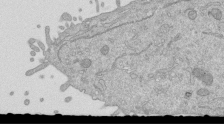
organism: Mouse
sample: ED-1 cell nuclei; centrioles